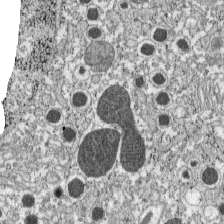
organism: C57BL Mouse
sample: Pancreatic islet